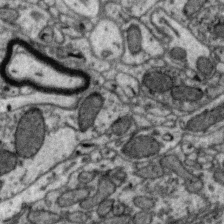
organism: Zebra finch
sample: Brain